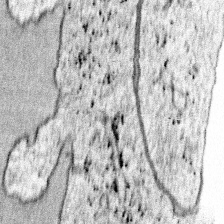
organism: Human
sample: HeLa cells